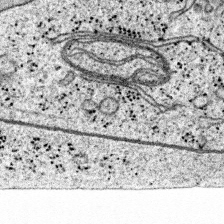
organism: Human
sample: HeLa cells